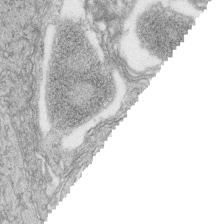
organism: Zebrafish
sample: synaptic ribbons in rod cells and cone cells